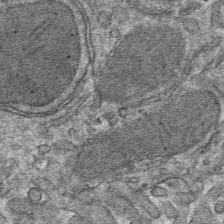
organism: Mouse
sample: Mouse hepatocytes